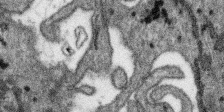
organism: Human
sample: Lung epithelial cells infected with SARS-CoV-2